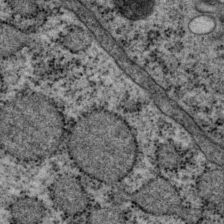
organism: P. pacificus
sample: Pharynx